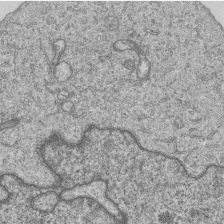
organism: Human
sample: MDA-MB-231 cells